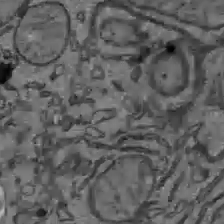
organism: C57BL Mouse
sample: Liver